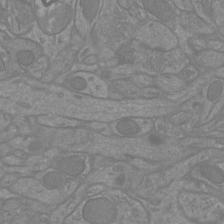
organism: Mouse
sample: Cortical neurons